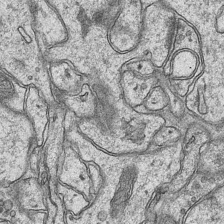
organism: Mouse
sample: CA1 Hippocampus